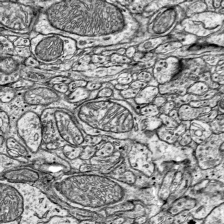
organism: Mouse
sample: Visual Cortex